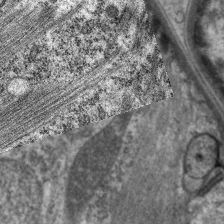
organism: C. elegans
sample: Pharynx